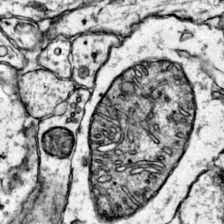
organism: Mouse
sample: Primary visual cortex